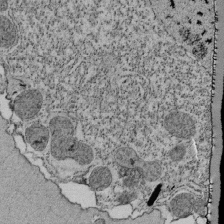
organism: Tetrahymena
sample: Cilia in tetrahymena